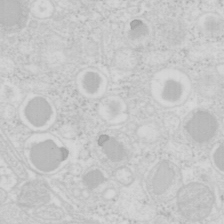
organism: Mouse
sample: Pancreas